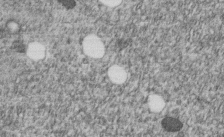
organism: C. elegans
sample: C. elegans embryo early stage